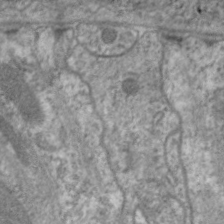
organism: C. elegans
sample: Pharynx